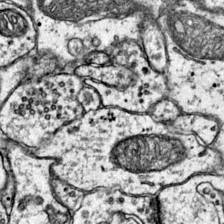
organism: Mouse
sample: Primary visual cortex